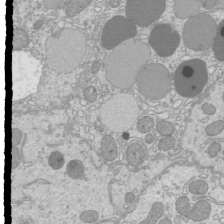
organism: Mouse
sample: Cilia; mouse epididymis